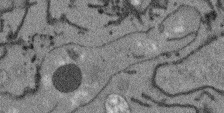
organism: Arabidopsis thaliana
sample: Root tip